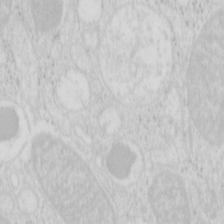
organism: Mouse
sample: Pancreas